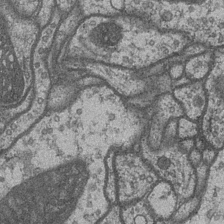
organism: Drosophila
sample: Optic medulla